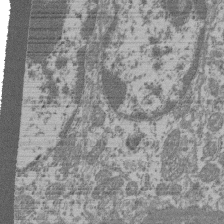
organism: Mouse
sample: Glomerulus